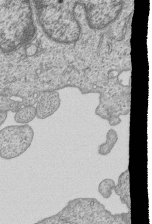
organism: Human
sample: MDA-MB-231 cells